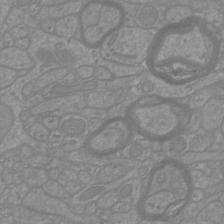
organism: Mouse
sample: Cortical neurons